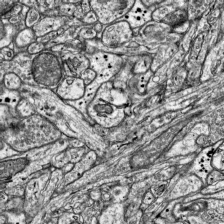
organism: Mouse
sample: Visual Cortex